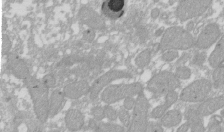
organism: Xenopus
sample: Cilia; centrioles in frog embryo cells